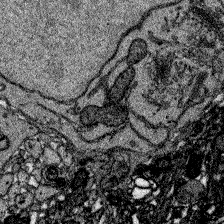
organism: Zebrafish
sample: Larval olfactory bulb